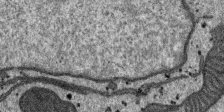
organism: Human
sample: Lung epithelial cells, uninfected (mock) control